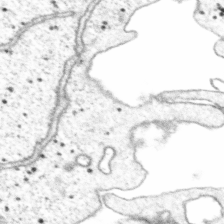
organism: Human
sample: HeLa cells